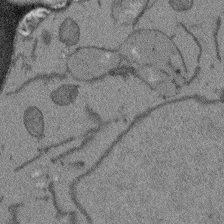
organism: Arabidopsis thaliana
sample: Root tip